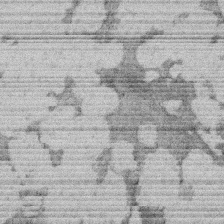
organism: Rat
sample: Salivary granule